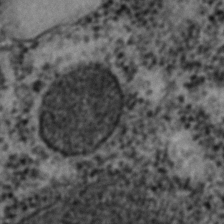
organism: C. elegans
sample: C. elegans embryo